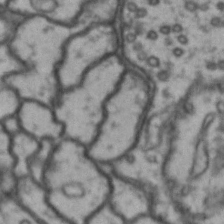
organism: Drosophila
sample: Brain